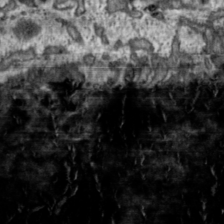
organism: Toxoplasma gondii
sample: Parasites in a vacuole inside a host cell